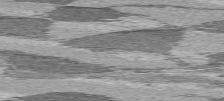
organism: C57BL Mouse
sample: Heart